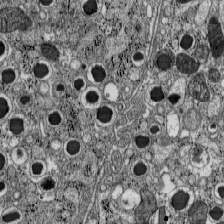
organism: C57BL Mouse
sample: Pancreatic islet